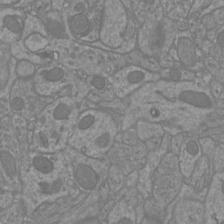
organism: Mouse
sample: Cortical neurons